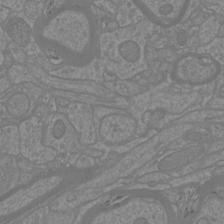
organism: Mouse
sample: Cortical neurons